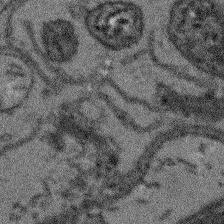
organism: Arabidopsis thaliana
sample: Root tip